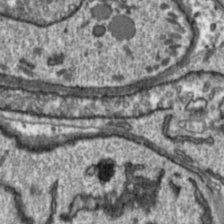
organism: Toxoplasma gondii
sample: Parasites in a vacuole inside a host cell